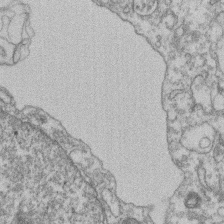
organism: Mouse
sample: T cell stromal cell synapse